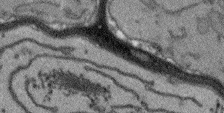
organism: Arabidopsis thaliana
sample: Root tip